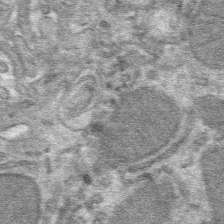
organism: Mouse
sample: Mouse hepatocytes